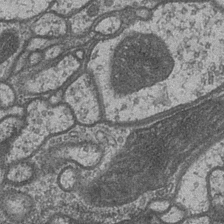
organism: Drosophila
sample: Optic medulla